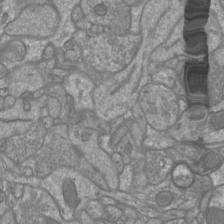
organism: Mouse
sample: Cortical neurons